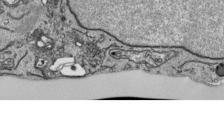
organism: Human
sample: Mitochondria in HCT116 cells